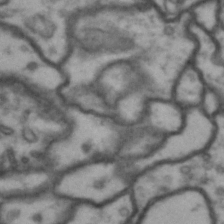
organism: Drosophila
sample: Brain